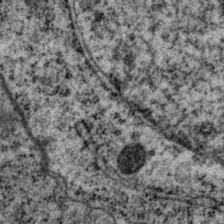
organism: P. pacificus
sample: Pharynx